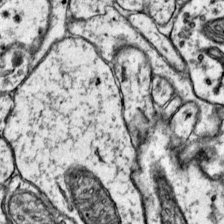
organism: Mouse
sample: Primary visual cortex